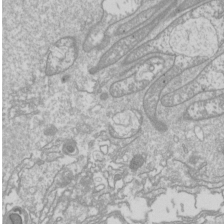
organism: Drosophila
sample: Cell division; meiosis; drosophila spermatocytes